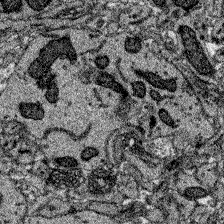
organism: Zebrafish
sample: Larval olfactory bulb